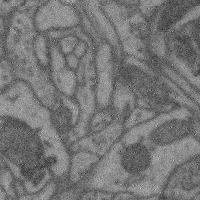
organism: Mouse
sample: Cerebral cortex